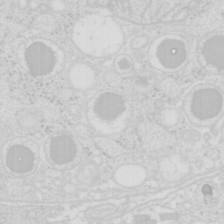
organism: Mouse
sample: Pancreas